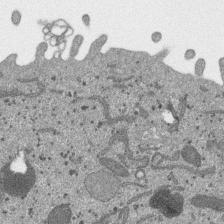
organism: Human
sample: Lung epithelial cells infected with SARS-CoV-2